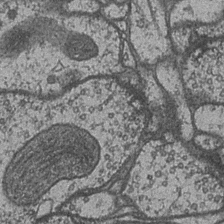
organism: Drosophila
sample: Optic medulla